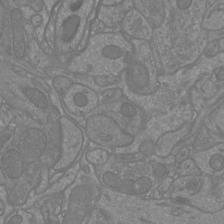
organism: Mouse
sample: Cortical neurons